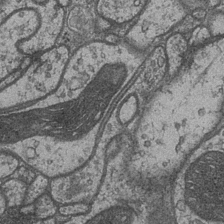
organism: Drosophila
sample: Optic medulla